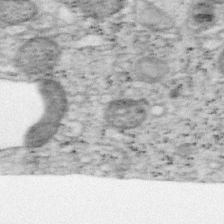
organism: Mouse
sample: OT-I killer T cells with ID8 ovarian cancer cells